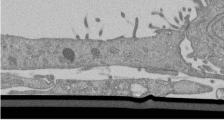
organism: Mouse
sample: ED-1 cell nuclei; centrioles